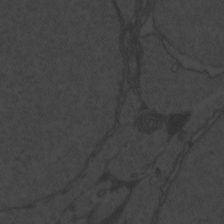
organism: Zebrafish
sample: Macrophage infected with Toxoplasma gondii